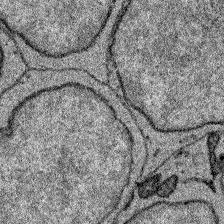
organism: Zebrafish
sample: Larval olfactory bulb